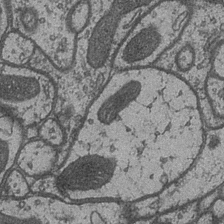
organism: Drosophila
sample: Optic medulla